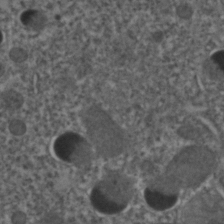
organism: C. elegans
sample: C. elegans embryo